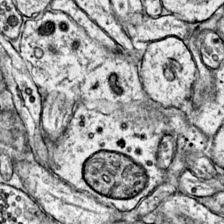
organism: Mouse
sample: Primary visual cortex